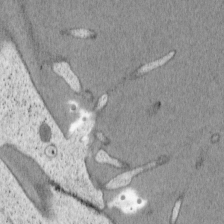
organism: African green monkey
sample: COS-7 cells